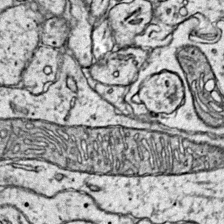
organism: Mouse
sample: Primary visual cortex